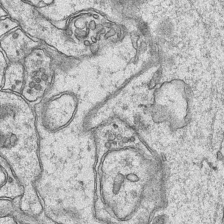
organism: Mouse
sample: CA1 Hippocampus